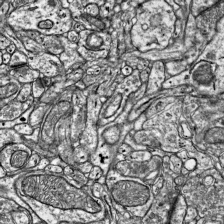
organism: Mouse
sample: Visual Cortex